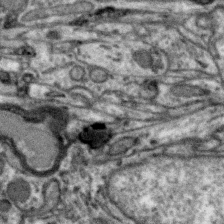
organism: Zebra finch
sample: Brain